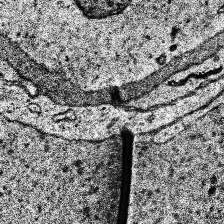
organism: Human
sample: Temporal Lobe